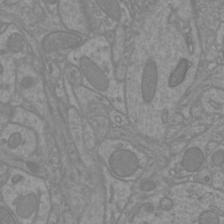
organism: Mouse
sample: Cortical neurons